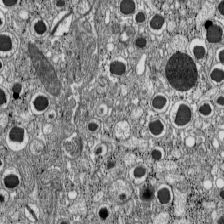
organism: C57BL Mouse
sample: Pancreatic islet